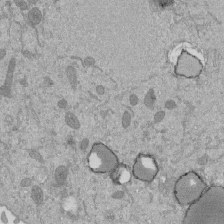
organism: Mouse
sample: ED-1 cell nuclei; centrioles